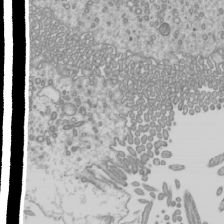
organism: Mouse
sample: Cilia; mouse epididymis